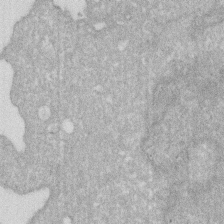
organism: Human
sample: HIV infected U937 cells